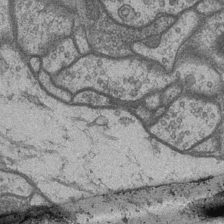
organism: Drosophila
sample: Optic medulla